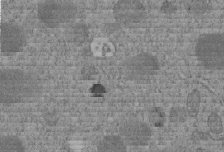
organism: C. elegans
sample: C. elegans embryo early stage